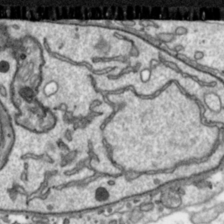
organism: Toxoplasma gondii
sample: Parasites in a vacuole inside a host cell